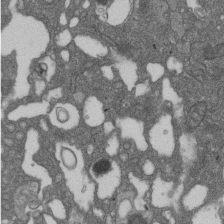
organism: Drosophila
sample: Nephrocyte